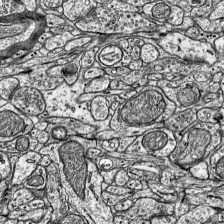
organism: Mouse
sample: Visual Cortex